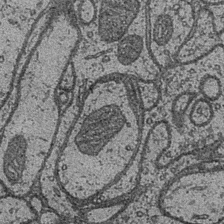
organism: Drosophila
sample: Optic medulla